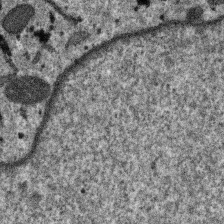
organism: Human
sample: Lung epithelial cells infected with SARS-CoV-2